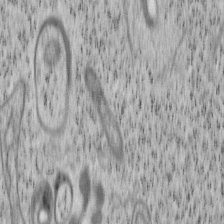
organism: Human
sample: HeLa cells